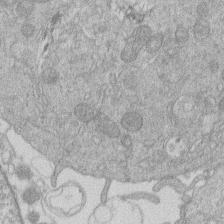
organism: Human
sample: Macrophage cells